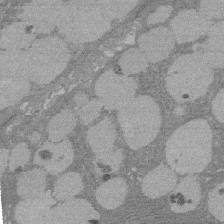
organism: Rat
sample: Salivary granule